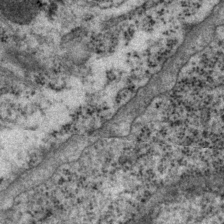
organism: P. pacificus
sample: Pharynx